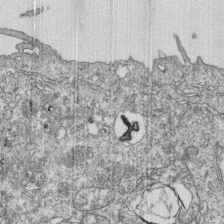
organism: Human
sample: HeLa cell HIV synapse